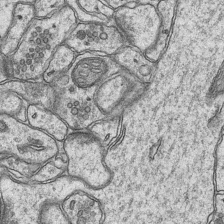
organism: Mouse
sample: CA1 Hippocampus